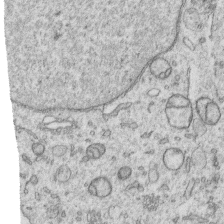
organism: Human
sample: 1205lu cells